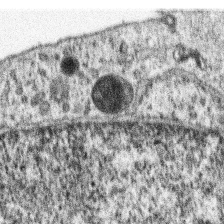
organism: Human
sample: HeLa cells